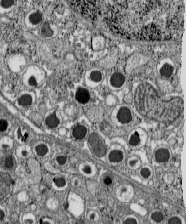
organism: C57BL Mouse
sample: Pancreatic islet